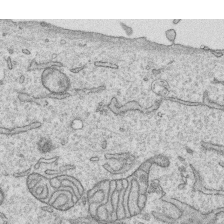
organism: Human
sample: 1205lu cells